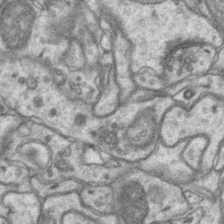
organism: Mouse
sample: CA1 Hippocampus